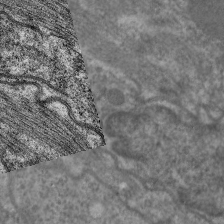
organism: C. elegans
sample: Pharynx